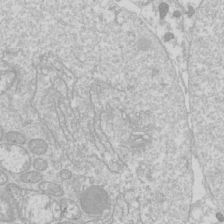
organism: Drosophila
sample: Cell division; meiosis; drosophila spermatocytes